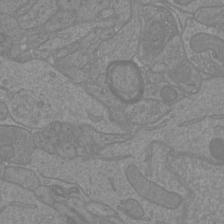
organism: Mouse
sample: Cortical neurons